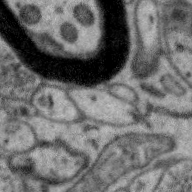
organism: Zebra finch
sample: Brain